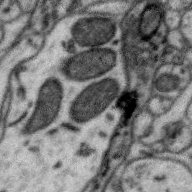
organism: Zebra finch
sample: Brain